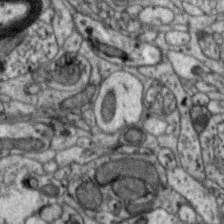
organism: Zebra finch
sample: Brain